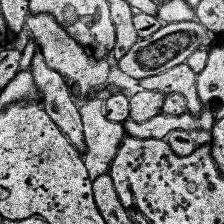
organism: Human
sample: Temporal Lobe